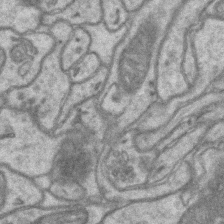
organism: Mouse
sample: CA1 Hippocampus